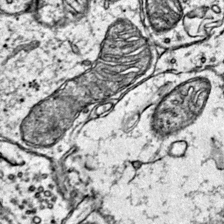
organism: Mouse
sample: Primary visual cortex